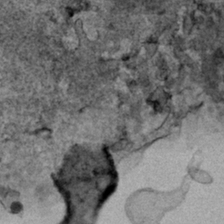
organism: Human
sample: Mitochondria in HCT116 cells